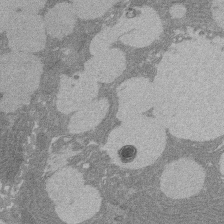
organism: Rat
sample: Salivary granule